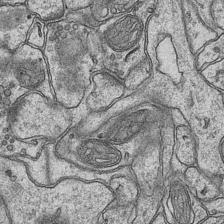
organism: Mouse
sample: CA1 Hippocampus